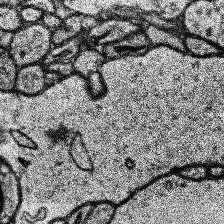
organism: Human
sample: Temporal Lobe